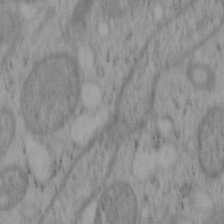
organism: Mouse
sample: OT-I killer T cells with ID8 ovarian cancer cells